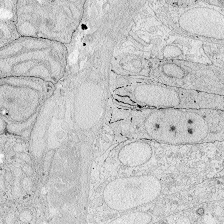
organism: Zebrafish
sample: Whole-Brain